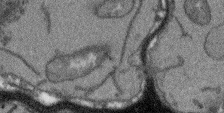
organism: Arabidopsis thaliana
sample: Root tip